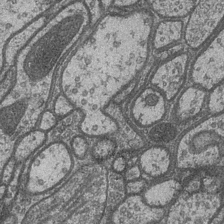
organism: Drosophila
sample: Optic medulla